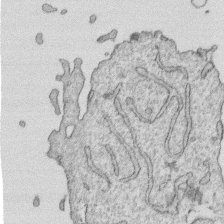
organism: Human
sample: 1205lu cells